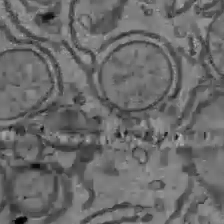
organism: C57BL Mouse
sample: Liver